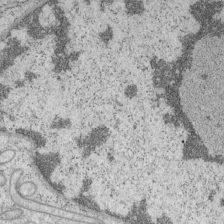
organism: Mouse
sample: OT-I killer T cells with ID8 ovarian cancer cells